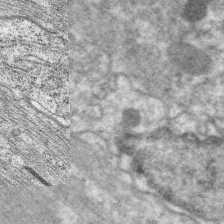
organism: C. elegans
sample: Pharynx